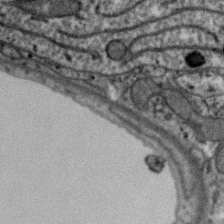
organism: Zebra finch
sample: Brain